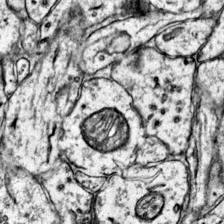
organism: Mouse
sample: Primary visual cortex